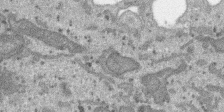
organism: Human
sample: Lung epithelial cells infected with SARS-CoV-2